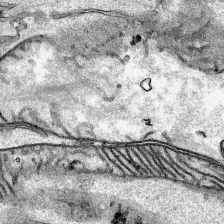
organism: Human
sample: Mitochondria in HCT116 cells